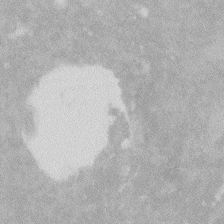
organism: Zebrafish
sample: Macrophage